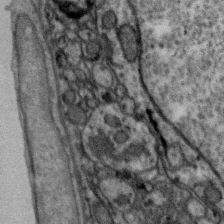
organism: Zebra finch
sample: Brain